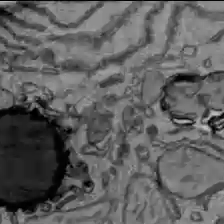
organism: C57BL Mouse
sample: Liver